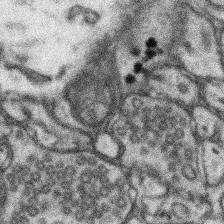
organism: Mouse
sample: Somatosensory cortex neuropil